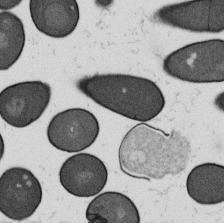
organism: B. subtilis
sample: Bacterial spore